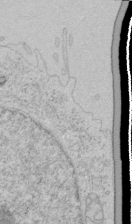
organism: Human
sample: Mitochondria in HCT116 cells